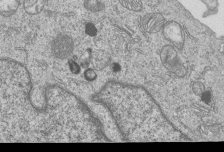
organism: Human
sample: MDA-MB-231 cells